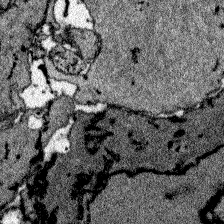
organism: Zebrafish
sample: Larval olfactory bulb